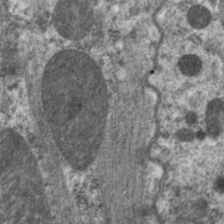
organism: C. elegans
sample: Pharynx